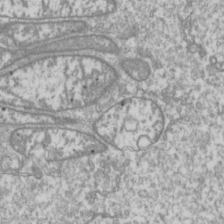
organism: Drosophila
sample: Cell division; meiosis; drosophila spermatocytes